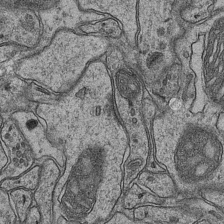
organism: Mouse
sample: CA1 Hippocampus